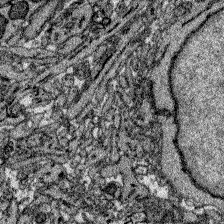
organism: Zebrafish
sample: Larval olfactory bulb